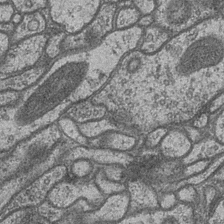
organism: Drosophila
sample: Optic medulla